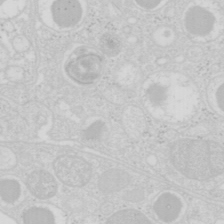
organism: Mouse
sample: Pancreas